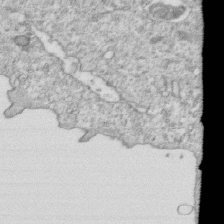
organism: Mouse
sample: Activated OT-1 CD8+ T cells